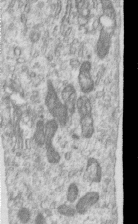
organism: Human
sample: Centriole in RPE cells